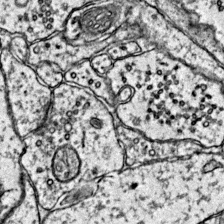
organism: Mouse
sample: Primary visual cortex